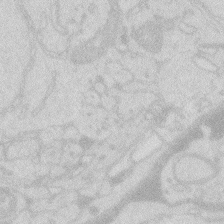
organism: Zebrafish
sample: Macrophage